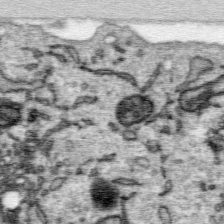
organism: Human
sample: HeLa cells